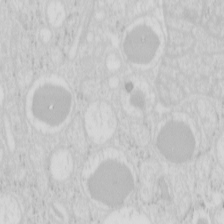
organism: Mouse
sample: Pancreas